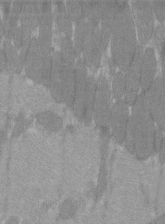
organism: C57BL Mouse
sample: Tibialis anterior muscle cell